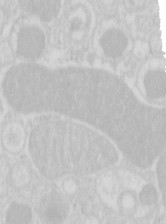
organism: Mouse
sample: Pancreas